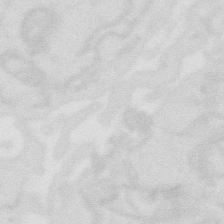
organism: Human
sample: HeLa cells